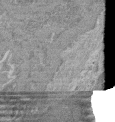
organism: Mouse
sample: Glomerulus